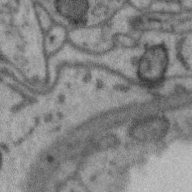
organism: Zebra finch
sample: Brain